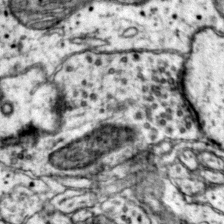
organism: Mouse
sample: Primary visual cortex